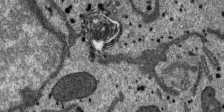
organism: Human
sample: Lung epithelial cells, uninfected (mock) control